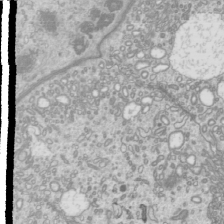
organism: Mouse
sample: Cilia; mouse epididymis